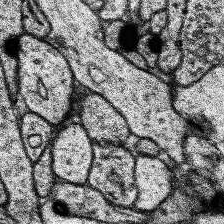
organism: Human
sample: Temporal Lobe